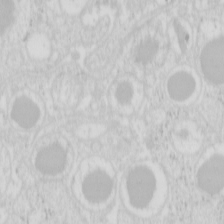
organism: Mouse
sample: Pancreas